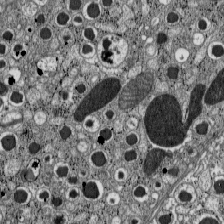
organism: C57BL Mouse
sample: Pancreatic islet